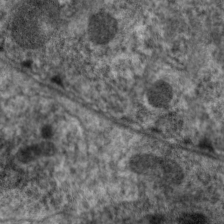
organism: C. elegans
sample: Pharynx